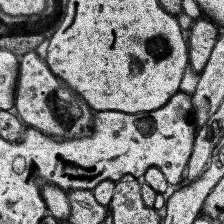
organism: Human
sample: Temporal Lobe